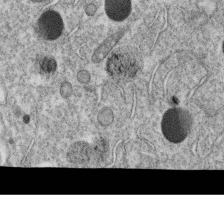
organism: C. elegans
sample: C. elegans oocyte; sperm cells